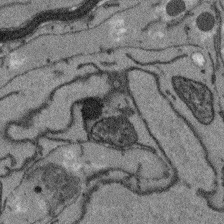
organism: Arabidopsis thaliana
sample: Root tip